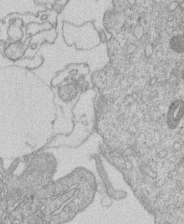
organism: Human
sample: Macrophage cells